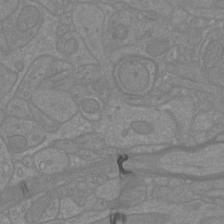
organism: Mouse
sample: Cortical neurons